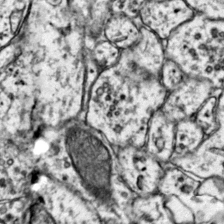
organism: Mouse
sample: Primary visual cortex